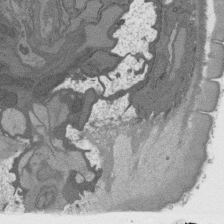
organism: C. elegans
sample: AFD neurons C. elegans